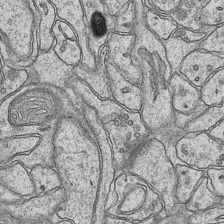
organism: Mouse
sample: CA1 Hippocampus